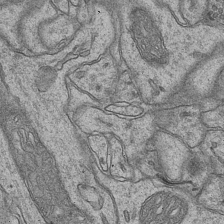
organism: Mouse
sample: CA1 Hippocampus